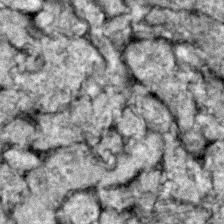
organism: Zebrafish